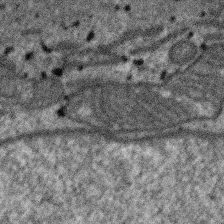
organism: Human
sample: Lung epithelial cells infected with SARS-CoV-2